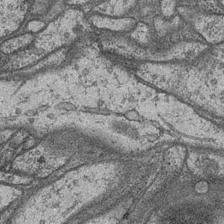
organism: Drosophila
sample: Optic medulla